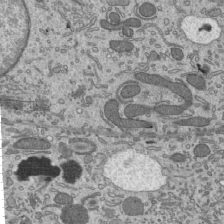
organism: Mouse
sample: Mouse epididymis efferent ductule cilia